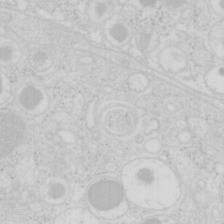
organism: Mouse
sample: Pancreas